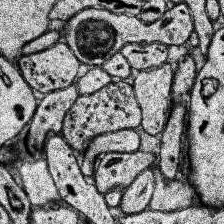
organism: Human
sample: Temporal Lobe